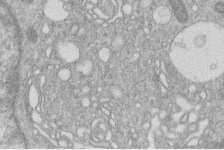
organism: Human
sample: Macrophage cells